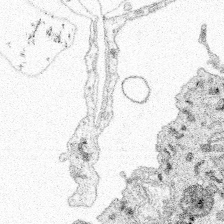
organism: Spongilla lacustris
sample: Multiple